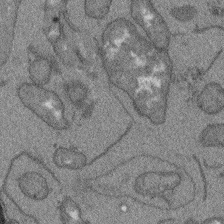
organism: Arabidopsis thaliana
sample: Root tip